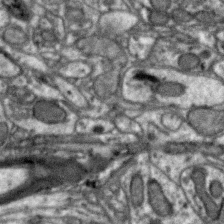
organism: Zebra finch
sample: Brain